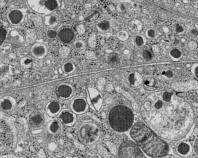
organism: C57BL Mouse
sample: Pancreatic islet